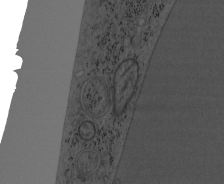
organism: Mouse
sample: OT-I killer T cells with ID8 ovarian cancer cells